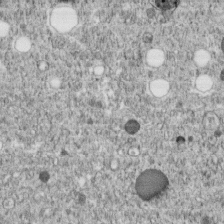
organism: C. elegans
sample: C. elegans embryo early stage